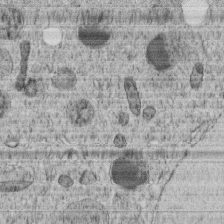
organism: C. elegans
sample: C. elegans embryo early stage